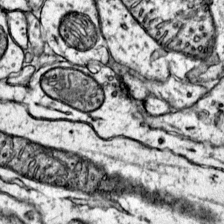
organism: Mouse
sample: Primary visual cortex